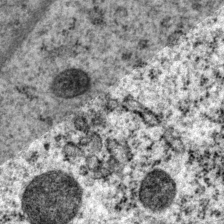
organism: P. pacificus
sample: Pharynx